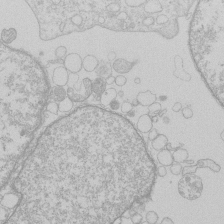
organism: Human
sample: Macrophage cells